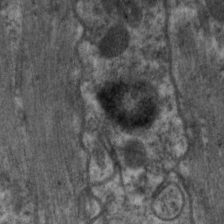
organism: C. elegans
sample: Pharynx